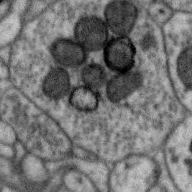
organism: Zebra finch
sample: Brain